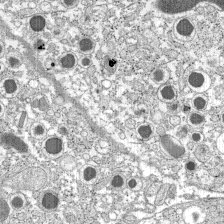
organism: C57BL Mouse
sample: Pancreatic islet